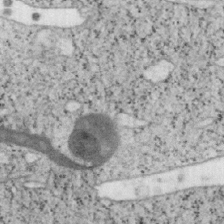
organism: Mouse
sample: OT-I killer T cells with ID8 ovarian cancer cells